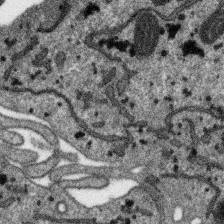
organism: Human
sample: Lung epithelial cells infected with SARS-CoV-2